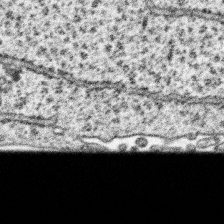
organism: Human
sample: HeLa cells